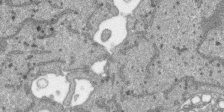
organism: Human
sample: Lung epithelial cells infected with SARS-CoV-2